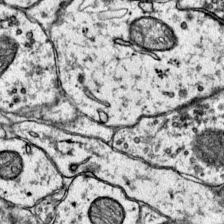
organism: Mouse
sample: Primary visual cortex